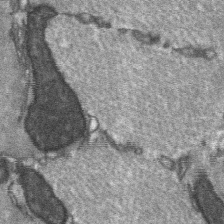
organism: C57BL Mouse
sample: Soleus